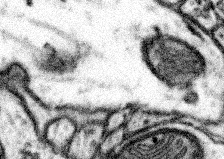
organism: Mouse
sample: Somatosensory cortex neuropil